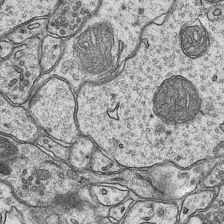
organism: Mouse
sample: CA1 Hippocampus